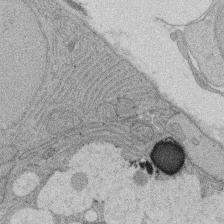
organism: Rat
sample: Salivary granule